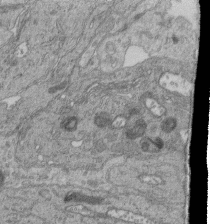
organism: Human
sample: Retinal organoid Rod and Cone cells